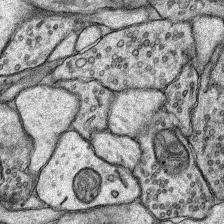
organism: Rat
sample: Hippocampus